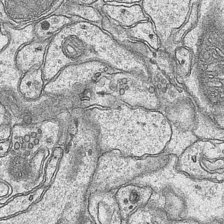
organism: Mouse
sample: CA1 Hippocampus